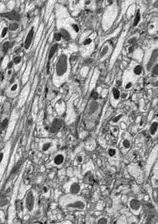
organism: Drosophila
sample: Optic lobe